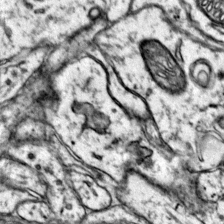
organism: Mouse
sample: Primary visual cortex